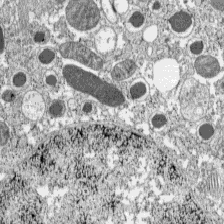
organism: C57BL Mouse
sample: Pancreatic islet